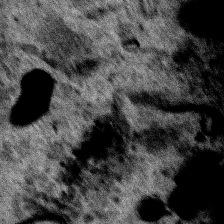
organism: Human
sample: Mitochondria in HCT116 cells